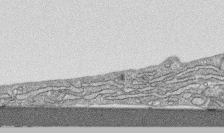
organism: Human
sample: CRL-1474